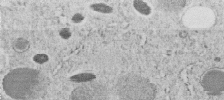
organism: C. elegans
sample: C. elegans embryo early stage